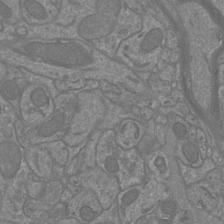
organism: Mouse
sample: Cortical neurons